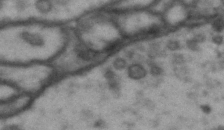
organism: Drosophila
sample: Brain